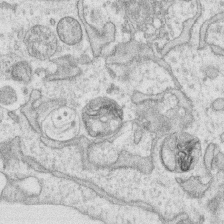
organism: Human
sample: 1205lu cells